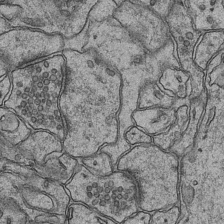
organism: Mouse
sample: CA1 Hippocampus